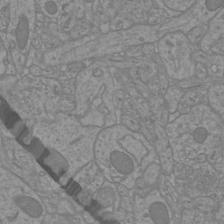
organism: Mouse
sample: Cortical neurons